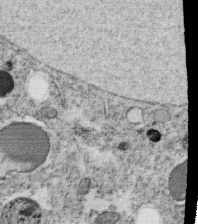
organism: C. elegans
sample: C. elegans oocyte; sperm cells